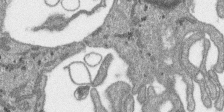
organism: Human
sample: Lung epithelial cells infected with SARS-CoV-2